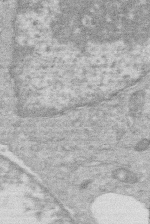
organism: Human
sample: Macrophage cells